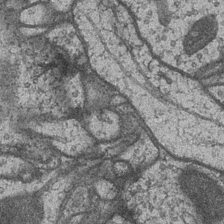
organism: Drosophila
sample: Optic medulla